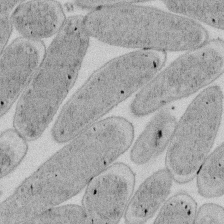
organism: E. coli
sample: Bacterial nucleoid